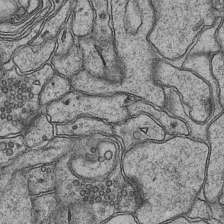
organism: Mouse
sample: CA1 Hippocampus